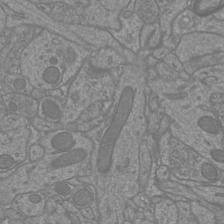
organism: Mouse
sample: Cortical neurons